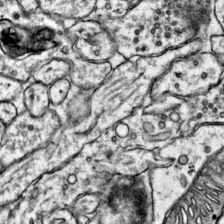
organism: Mouse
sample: Primary visual cortex